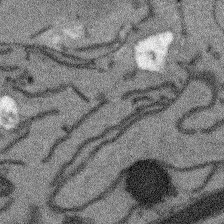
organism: Arabidopsis thaliana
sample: Root tip